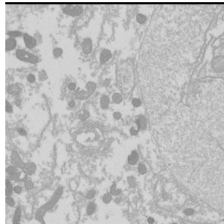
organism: Drosophila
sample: Cell division; meiosis; drosophila spermatocytes